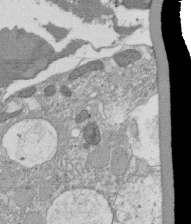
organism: Tetrahymena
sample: Cilia in tetrahymena